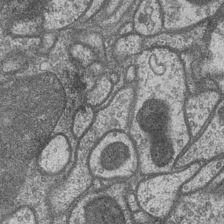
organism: Drosophila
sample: Optic medulla